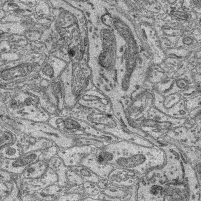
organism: Mouse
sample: Retina